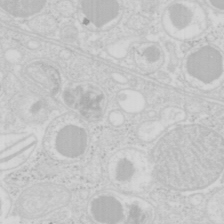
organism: Mouse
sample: Pancreas